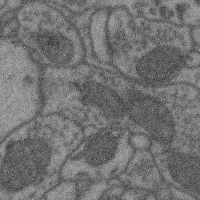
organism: Mouse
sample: Cerebral cortex